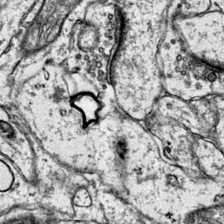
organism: Mouse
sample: Primary visual cortex